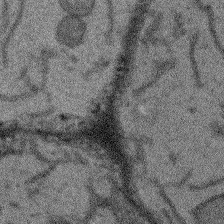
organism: Arabidopsis thaliana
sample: Root tip